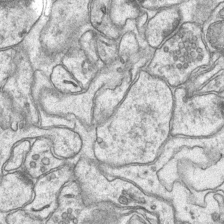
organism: Mouse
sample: CA1 Hippocampus